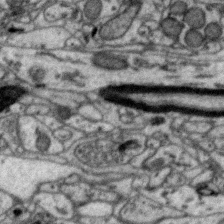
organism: Zebra finch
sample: Brain